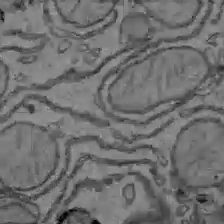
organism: C57BL Mouse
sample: Liver